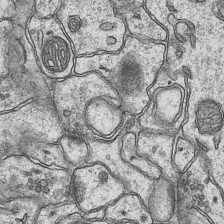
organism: Mouse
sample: CA1 Hippocampus